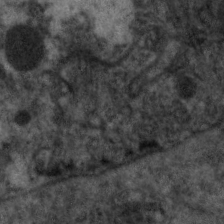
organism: C. elegans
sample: Pharynx